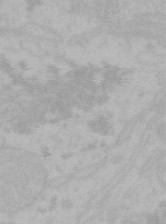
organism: Mouse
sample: Choroid plexus